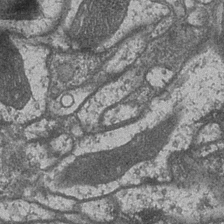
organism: Drosophila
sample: Optic medulla